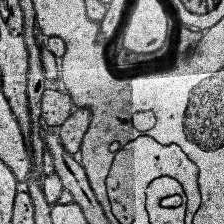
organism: Human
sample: Temporal Lobe